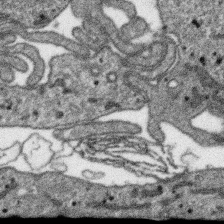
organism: Human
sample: Lung epithelial cells infected with SARS-CoV-2